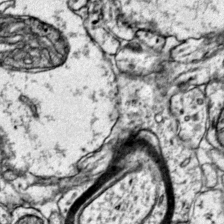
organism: Mouse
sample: Primary visual cortex